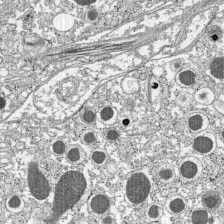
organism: C57BL Mouse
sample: Pancreatic islet